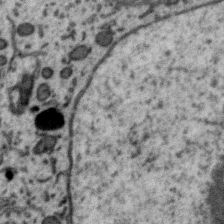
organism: Zebra finch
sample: Brain